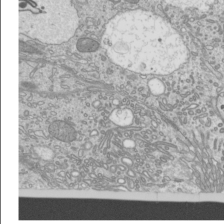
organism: Mouse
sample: Cilia; mouse epididymis